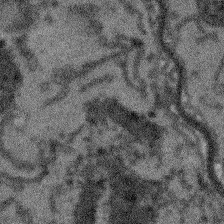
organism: Arabidopsis thaliana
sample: Root tip